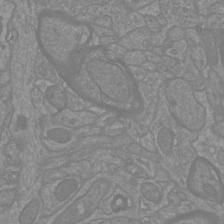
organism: Mouse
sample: Cortical neurons